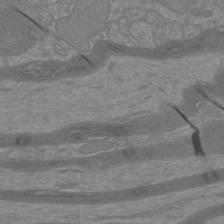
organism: Mouse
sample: Cortical neurons